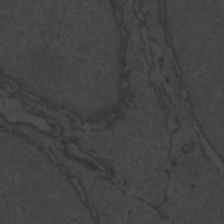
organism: Zebrafish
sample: Macrophage infected with Toxoplasma gondii